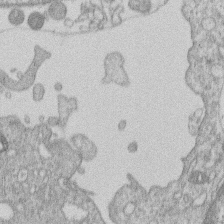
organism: Human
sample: Macrophage cells